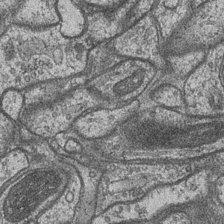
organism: Drosophila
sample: Optic medulla